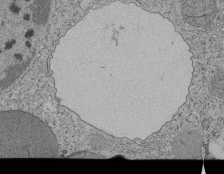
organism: Tetrahymena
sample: Cilia in tetrahymena